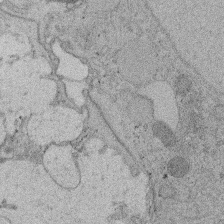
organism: Rat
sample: Salivary granule